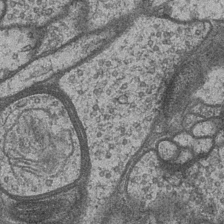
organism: Drosophila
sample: Optic medulla